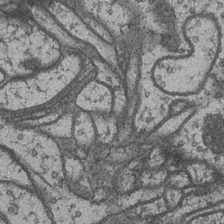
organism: Drosophila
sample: Optic medulla